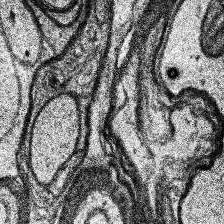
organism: Human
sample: Temporal Lobe